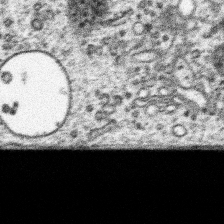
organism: Human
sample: HeLa cells